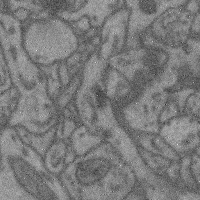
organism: Mouse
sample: Cerebral cortex